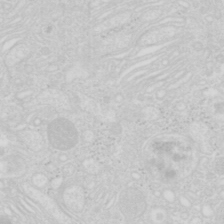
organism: Mouse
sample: Pancreas